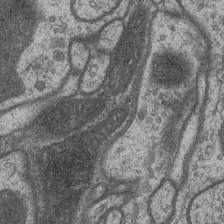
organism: Drosophila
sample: Optic medulla